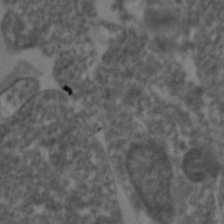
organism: Zebrafish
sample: Zebrafish embryo